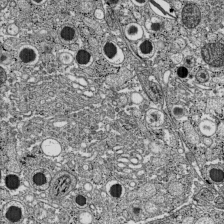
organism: C57BL Mouse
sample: Pancreatic islet